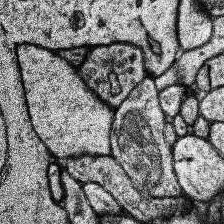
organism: Human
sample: Temporal Lobe